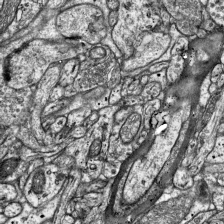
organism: Mouse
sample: Visual Cortex